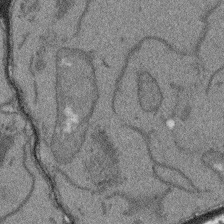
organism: Arabidopsis thaliana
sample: Root tip